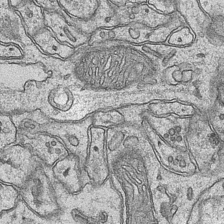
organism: Mouse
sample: CA1 Hippocampus